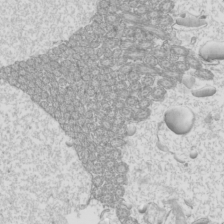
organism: Mouse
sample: Cilia; mouse epididymis